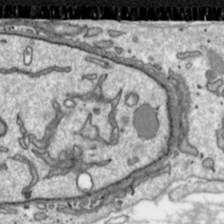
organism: Toxoplasma gondii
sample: Parasites in a vacuole inside a host cell